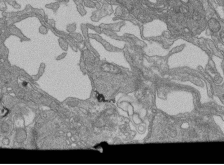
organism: Human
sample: Retinal organoid Rod and Cone cells